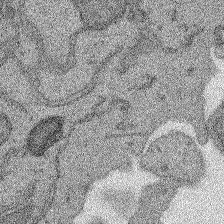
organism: Human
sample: HeLa cells